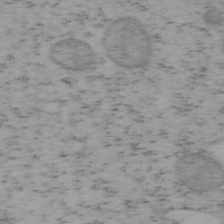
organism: Mouse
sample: OT-I killer T cells with ID8 ovarian cancer cells